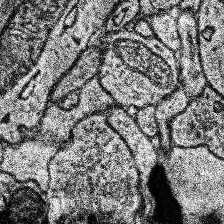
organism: Human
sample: Temporal Lobe